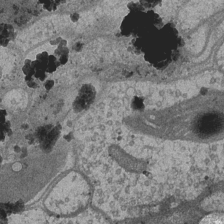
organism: Drosophila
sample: Optic medulla